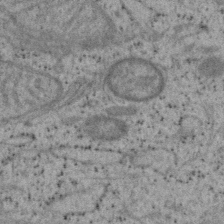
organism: Human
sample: HeLa cells